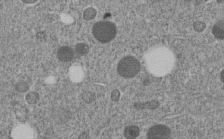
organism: C. elegans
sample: C. elegans embryo early stage